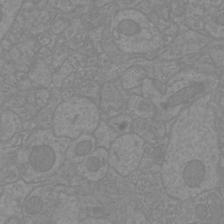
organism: Mouse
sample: Cortical neurons